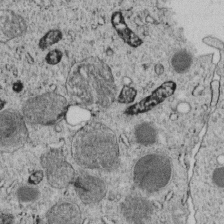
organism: C. elegans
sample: C. elegans embryo early stage